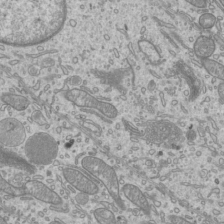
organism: Mouse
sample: Cilia; mouse epididymis